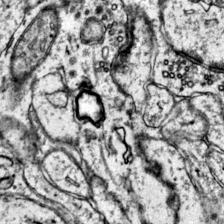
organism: Mouse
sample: Primary visual cortex